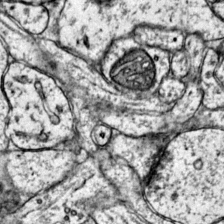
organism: Mouse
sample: Primary visual cortex